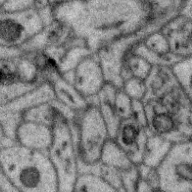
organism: Zebra finch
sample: Brain